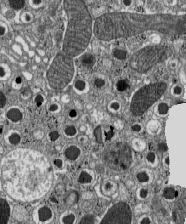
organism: C57BL Mouse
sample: Pancreatic islet